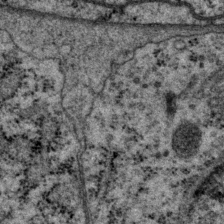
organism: P. pacificus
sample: Pharynx